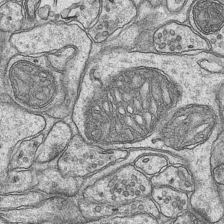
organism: Mouse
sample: CA1 Hippocampus